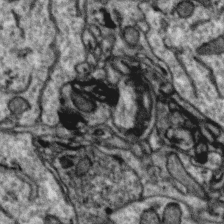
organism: Zebra finch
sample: Brain